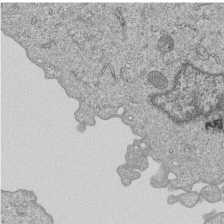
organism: Human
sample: MDA-MB-231 cells